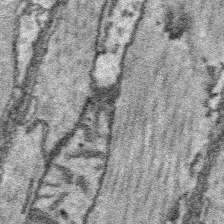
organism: Platynereis dumerilii